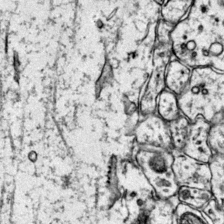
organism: Mouse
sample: Primary visual cortex